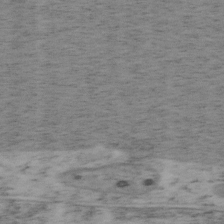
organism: Mouse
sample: OT-I killer T cells with ID8 ovarian cancer cells